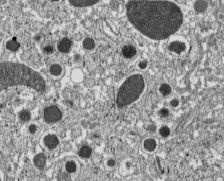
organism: C57BL Mouse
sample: Pancreatic islet